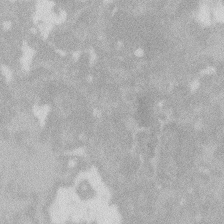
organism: Zebrafish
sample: Macrophage